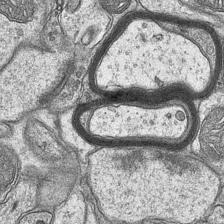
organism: Mouse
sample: CA1 Hippocampus